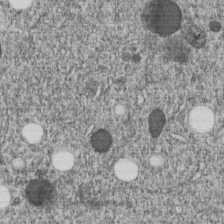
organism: C. elegans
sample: C. elegans embryo early stage